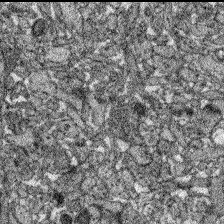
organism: Zebrafish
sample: Larval olfactory bulb